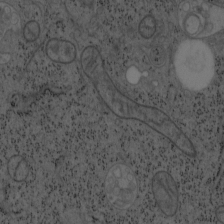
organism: Mouse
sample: OT-I killer T cells with ID8 ovarian cancer cells